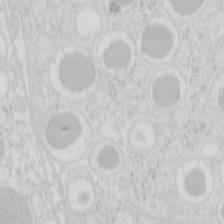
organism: Mouse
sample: Pancreas